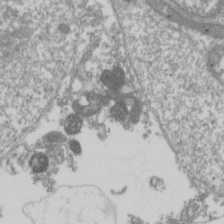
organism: Drosophila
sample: Cell division; meiosis; drosophila spermatocytes